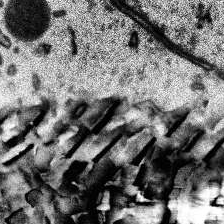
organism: Human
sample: Temporal Lobe